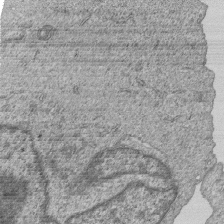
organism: Human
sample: MDA-MB-231 cells